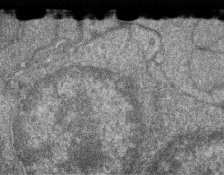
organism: Zebrafish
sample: Cilia; retinal pigment epithelium